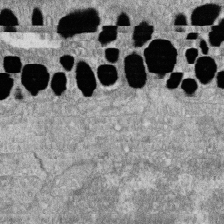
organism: Zebrafish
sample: Cilia; retinal pigment epithelium